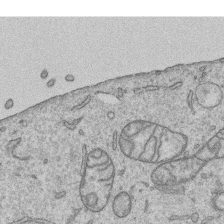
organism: Human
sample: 1205lu cells